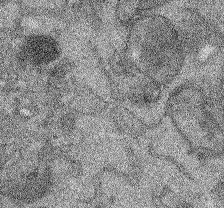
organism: Human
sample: HeLa cells